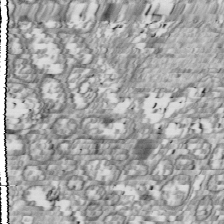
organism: Drosophila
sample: Cell division; meiosis; drosophila spermatocytes